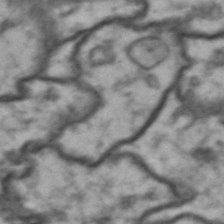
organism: Drosophila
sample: Brain